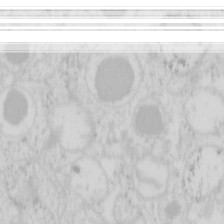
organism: Mouse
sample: Pancreas